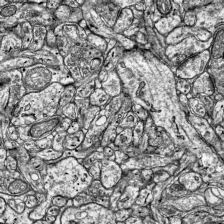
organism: Mouse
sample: Visual Cortex